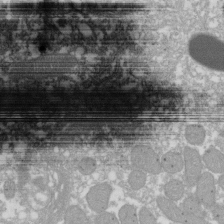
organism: Xenopus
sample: Cilia; centrioles in frog embryo cells